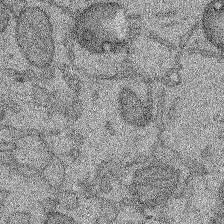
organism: Human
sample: HeLa cells